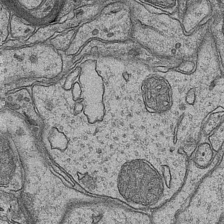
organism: Mouse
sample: CA1 Hippocampus